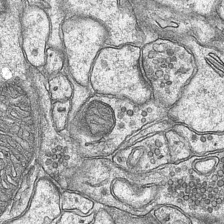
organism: Mouse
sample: CA1 Hippocampus